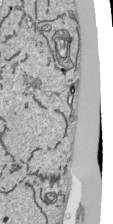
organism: Human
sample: Mitochondria in HCT116 cells